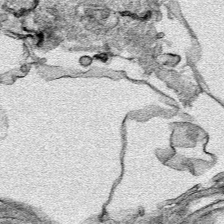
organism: Human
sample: Mitochondria in HCT116 cells